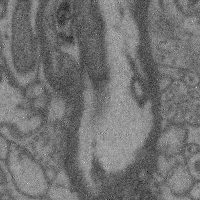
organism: Mouse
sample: Cerebral cortex